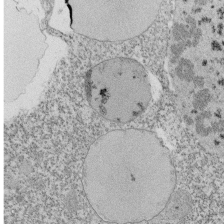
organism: Tetrahymena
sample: Cilia in tetrahymena